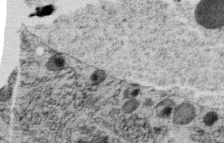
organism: C. elegans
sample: C. elegans oocyte; sperm cells